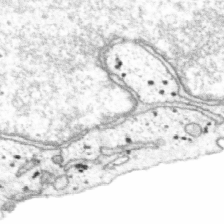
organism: Human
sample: HeLa cells